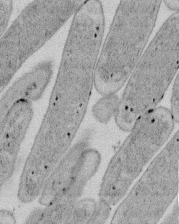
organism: E. coli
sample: Bacterial nucleoid